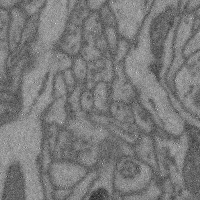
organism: Mouse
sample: Cerebral cortex